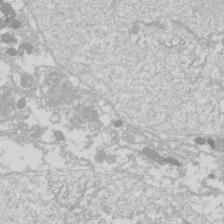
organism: Drosophila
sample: Cell division; meiosis; drosophila spermatocytes